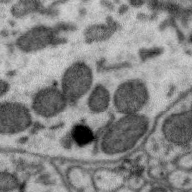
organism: Zebra finch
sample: Brain